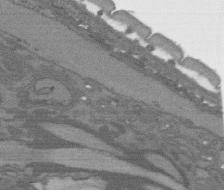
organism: C. elegans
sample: AFD neurons C. elegans